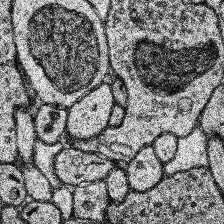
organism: Human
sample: Temporal Lobe